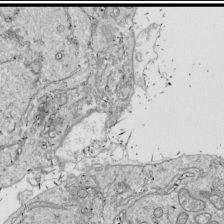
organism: Drosophila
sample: Cell division; meiosis; drosophila spermatocytes